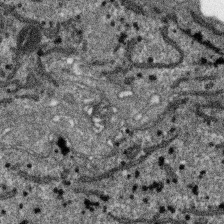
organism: Human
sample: Lung epithelial cells infected with SARS-CoV-2